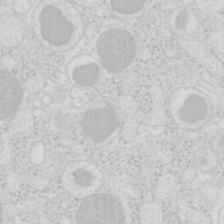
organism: Mouse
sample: Pancreas